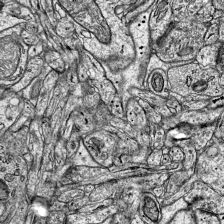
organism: Mouse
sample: Visual Cortex